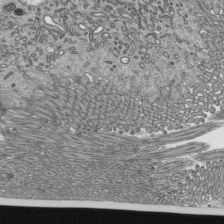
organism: Mouse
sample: Mouse epididymis efferent ductule cilia